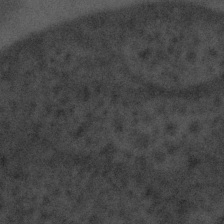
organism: Tuwongella immobilis